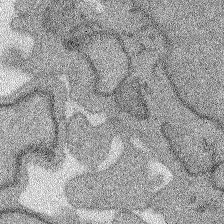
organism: Human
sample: HeLa cells